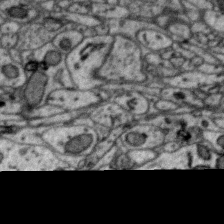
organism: Zebra finch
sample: Brain